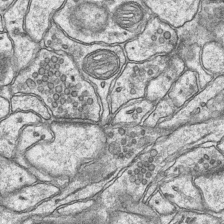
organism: Mouse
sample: CA1 Hippocampus